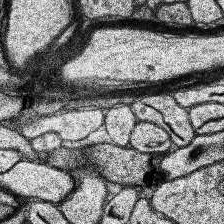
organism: Human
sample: Temporal Lobe